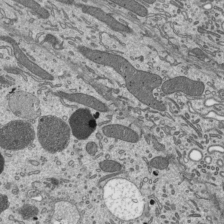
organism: Mouse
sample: Mouse epididymis efferent ductule cilia